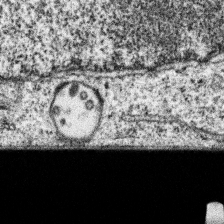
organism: Human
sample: HeLa cells